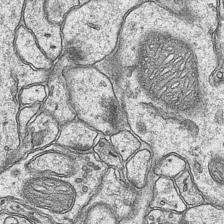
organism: Mouse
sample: CA1 Hippocampus